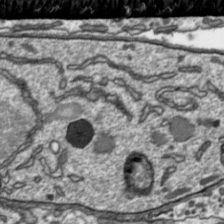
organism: Toxoplasma gondii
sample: Parasites in a vacuole inside a host cell